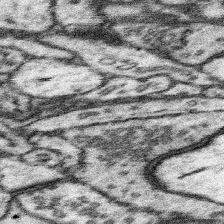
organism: Mouse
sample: Somatosensory cortex neuropil